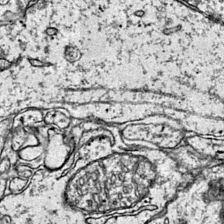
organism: Mouse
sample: Primary visual cortex